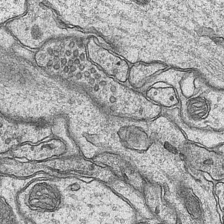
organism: Mouse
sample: CA1 Hippocampus